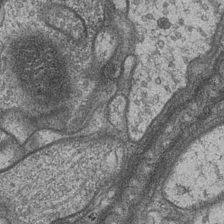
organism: Drosophila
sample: Optic medulla